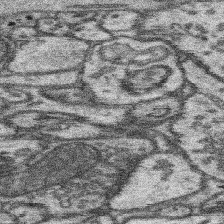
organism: Mouse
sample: Somatosensory cortex neuropil